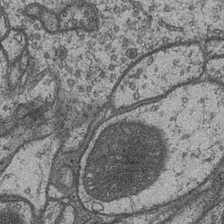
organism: Drosophila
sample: Optic medulla